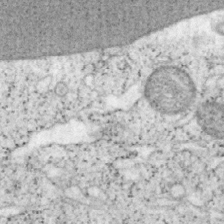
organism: Mouse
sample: OT-I killer T cells with ID8 ovarian cancer cells